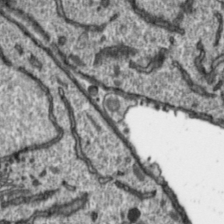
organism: Toxoplasma gondii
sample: Parasites in a vacuole inside a host cell